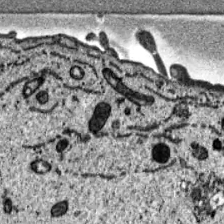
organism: Human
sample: HeLa cells